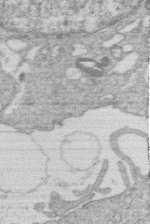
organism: Human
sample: Macrophage cells